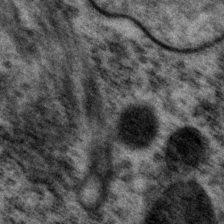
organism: P. pacificus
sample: Pharynx